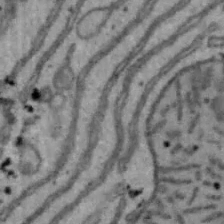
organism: Mouse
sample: Liver